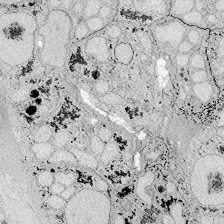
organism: Zebrafish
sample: Whole-Brain